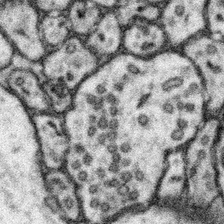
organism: Mouse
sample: Somatosensory cortex neuropil